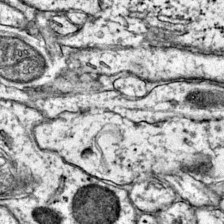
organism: Mouse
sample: Primary visual cortex